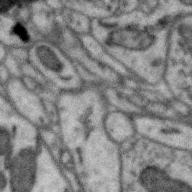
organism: Zebra finch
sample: Brain